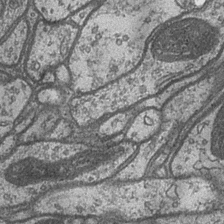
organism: Drosophila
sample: Optic medulla